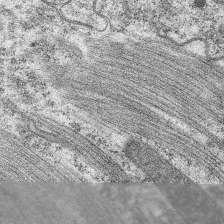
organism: C. elegans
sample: Pharynx